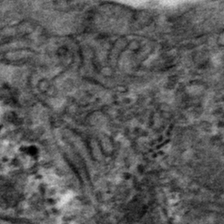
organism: Mouse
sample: Mouse hepatocytes